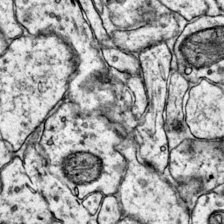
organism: Mouse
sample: Primary visual cortex